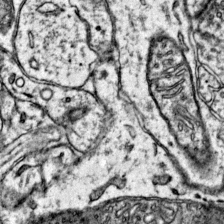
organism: Mouse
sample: Primary visual cortex